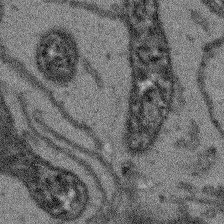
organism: Arabidopsis thaliana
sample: Root tip